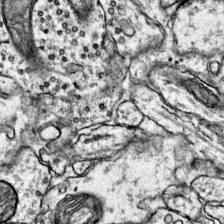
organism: Mouse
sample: Primary visual cortex